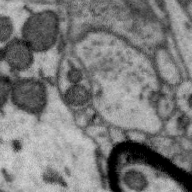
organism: Zebra finch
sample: Brain